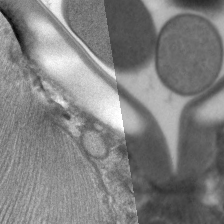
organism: C. elegans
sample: Pharynx